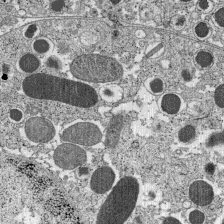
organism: C57BL Mouse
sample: Pancreatic islet